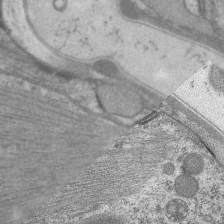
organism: C. elegans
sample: Pharynx